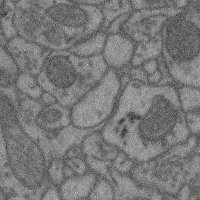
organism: Mouse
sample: Cerebral cortex